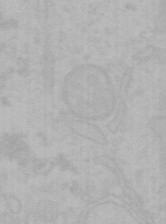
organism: Mouse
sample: Choroid plexus